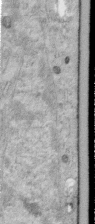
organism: Human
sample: Centriole in RPE cells